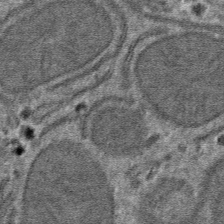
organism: Mouse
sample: Mouse hepatocytes